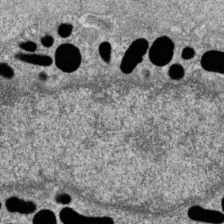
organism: Zebrafish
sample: Cilia; retinal pigment epithelium